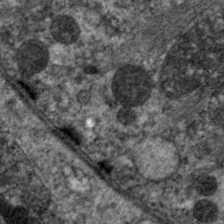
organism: C. elegans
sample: Pharynx